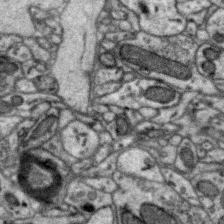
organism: Zebra finch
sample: Brain